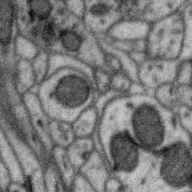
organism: Zebra finch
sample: Brain